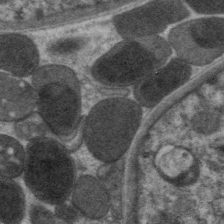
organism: C. elegans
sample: Pharynx